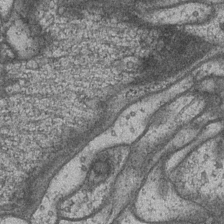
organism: Drosophila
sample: Optic medulla